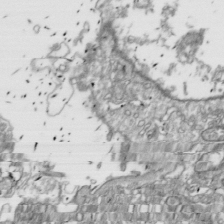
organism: Drosophila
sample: Cell division; meiosis; drosophila spermatocytes